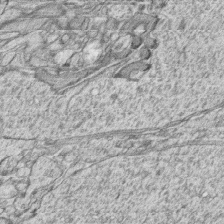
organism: Zebrafish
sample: synaptic ribbons in rod cells and cone cells